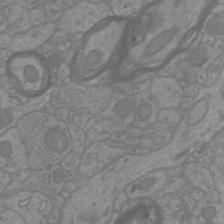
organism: Mouse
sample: Cortical neurons